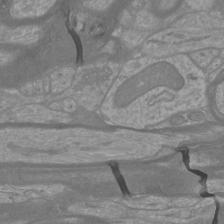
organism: Mouse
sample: Cortical neurons